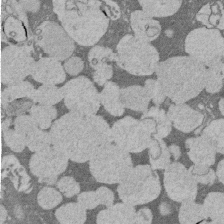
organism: Rat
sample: Salivary granule